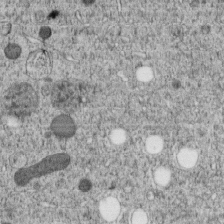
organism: C. elegans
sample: C. elegans embryo early stage